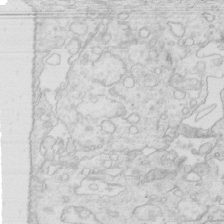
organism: Mouse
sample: Multiciliated cells